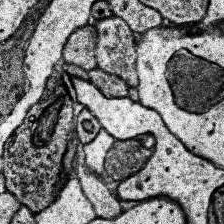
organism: Human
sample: Temporal Lobe